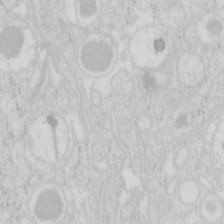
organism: Mouse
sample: Pancreas